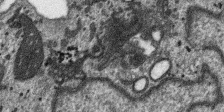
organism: Human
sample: Lung epithelial cells infected with SARS-CoV-2